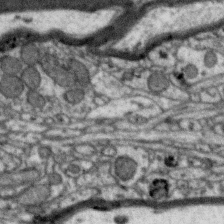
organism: Zebra finch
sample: Brain